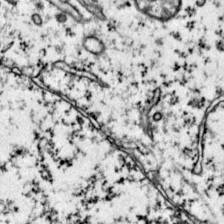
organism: Mouse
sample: Primary visual cortex